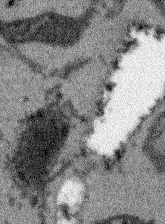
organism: Arabidopsis thaliana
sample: Root tip